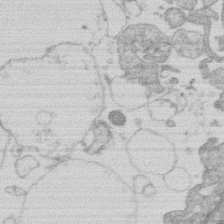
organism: Human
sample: Macrophage cells